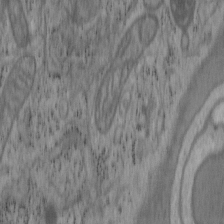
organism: Human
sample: HeLa cells